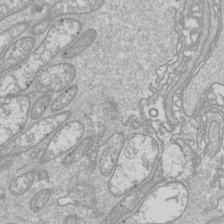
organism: Drosophila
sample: Cell division; meiosis; drosophila spermatocytes